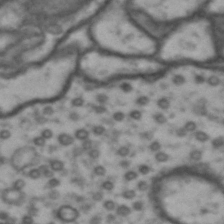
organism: Drosophila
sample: Brain